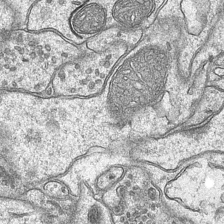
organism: Mouse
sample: CA1 Hippocampus